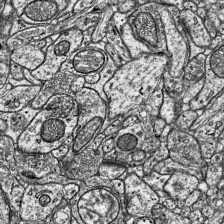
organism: Mouse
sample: Visual Cortex